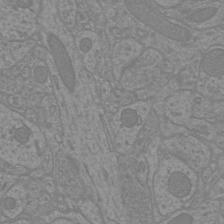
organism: Mouse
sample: Cortical neurons